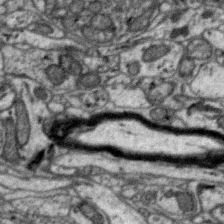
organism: Zebra finch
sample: Brain